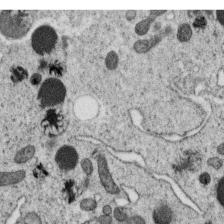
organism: C. elegans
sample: C. elegans oocyte; sperm cells